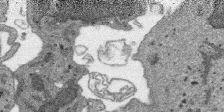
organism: Human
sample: Lung epithelial cells infected with SARS-CoV-2